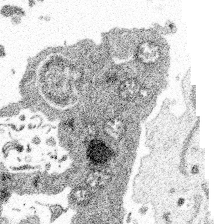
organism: Spongilla lacustris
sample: Multiple